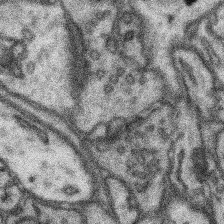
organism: Mouse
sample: Somatosensory cortex neuropil